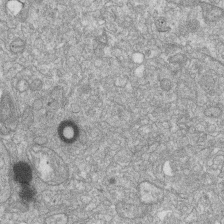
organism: Human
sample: HeLa cell HIV synapse